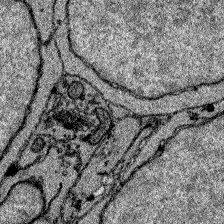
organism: Zebrafish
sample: Larval olfactory bulb